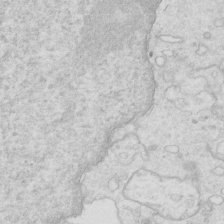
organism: Mouse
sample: Multiciliated cells